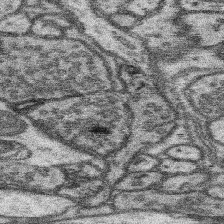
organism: Mouse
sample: Somatosensory cortex neuropil